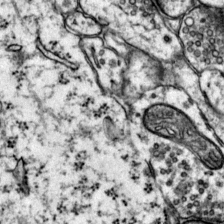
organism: Mouse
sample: Primary visual cortex